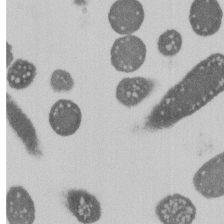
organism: E. coli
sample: Bacterial nucleoid